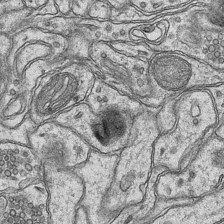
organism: Mouse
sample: CA1 Hippocampus